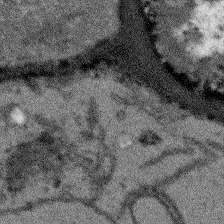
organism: Arabidopsis thaliana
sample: Root tip